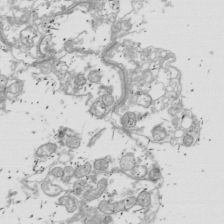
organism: Drosophila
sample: Cell division; meiosis; drosophila spermatocytes